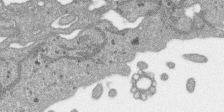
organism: Human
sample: Lung epithelial cells infected with SARS-CoV-2